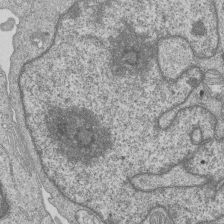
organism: Human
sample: MDA-MB-231 cells